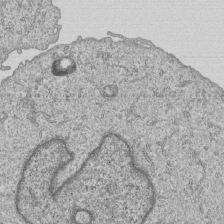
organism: Human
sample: MDA-MB-231 cells